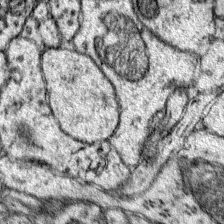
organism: Mouse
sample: Primary visual cortex